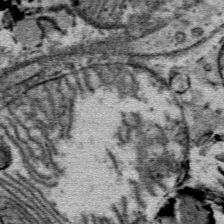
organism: Mouse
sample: Mouse Salivary gland